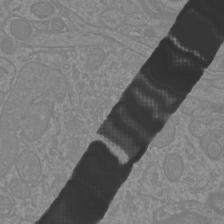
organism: Mouse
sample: Cortical neurons